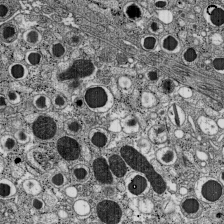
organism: C57BL Mouse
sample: Pancreatic islet